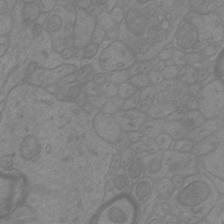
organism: Mouse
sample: Cortical neurons